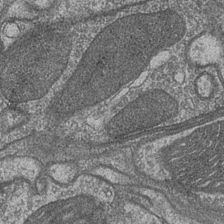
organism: Drosophila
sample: Optic medulla